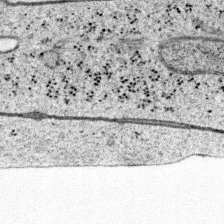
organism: Human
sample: HeLa cells